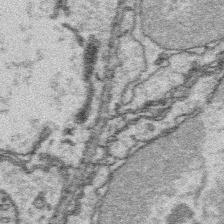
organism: Platynereis dumerilii